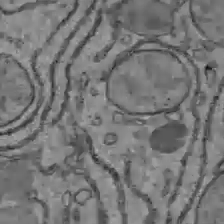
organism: C57BL Mouse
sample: Liver